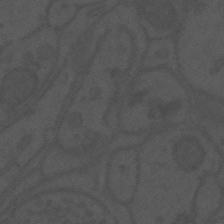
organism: Mouse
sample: Suprachiasmatic nucleus